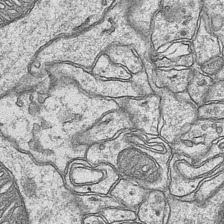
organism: Mouse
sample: CA1 Hippocampus